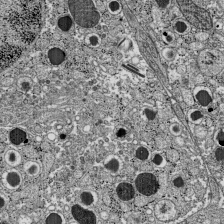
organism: C57BL Mouse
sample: Pancreatic islet